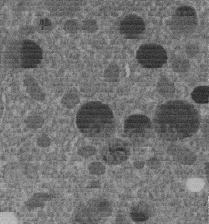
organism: C. elegans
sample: C. elegans embryo early stage